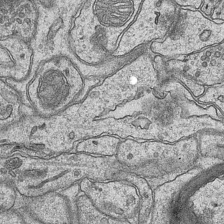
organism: Mouse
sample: CA1 Hippocampus